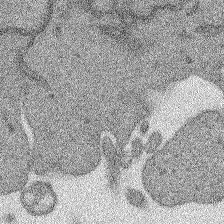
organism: Human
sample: HeLa cells